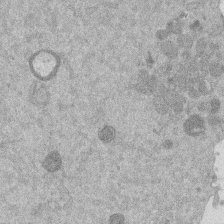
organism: Mouse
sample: Dividing mouse embryo 1 cell stage